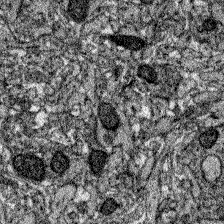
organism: Zebrafish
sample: Larval olfactory bulb